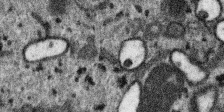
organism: Human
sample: Lung epithelial cells infected with SARS-CoV-2